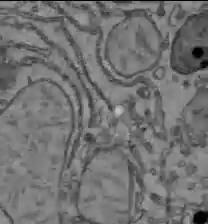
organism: C57BL Mouse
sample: Liver